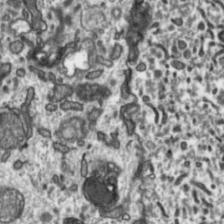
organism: Toxoplasma gondii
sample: Parasites in a vacuole inside a host cell